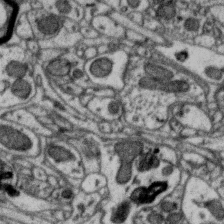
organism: Zebra finch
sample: Brain